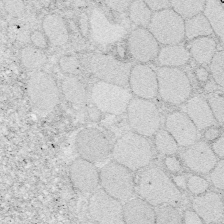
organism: Zebrafish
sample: Whole-Brain